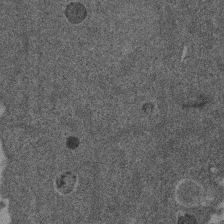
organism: Mouse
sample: Dividing mouse embryo 1 cell stage